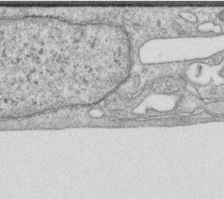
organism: Human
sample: Centriole in RPE cells